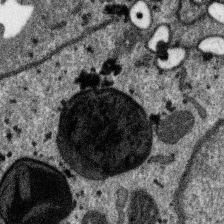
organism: Human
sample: Lung epithelial cells infected with SARS-CoV-2